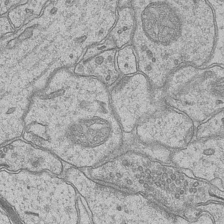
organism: Mouse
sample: CA1 Hippocampus